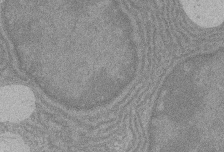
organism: Rat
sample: Salivary granule